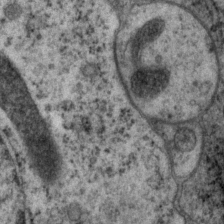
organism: P. pacificus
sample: Pharynx